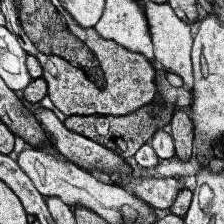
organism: Human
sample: Temporal Lobe